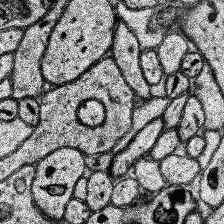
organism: Human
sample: Temporal Lobe